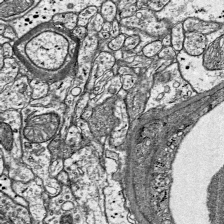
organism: Mouse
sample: Visual Cortex